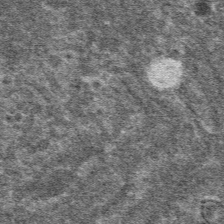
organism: Mouse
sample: Mouse hepatocytes